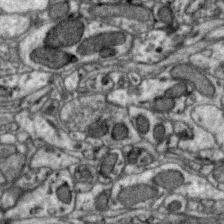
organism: Zebra finch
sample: Brain